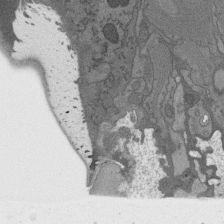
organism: C. elegans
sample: AFD neurons C. elegans